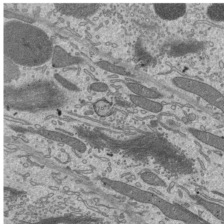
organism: Mouse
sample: Mouse epididymis efferent ductule cilia